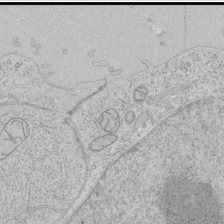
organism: Human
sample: Mitochondria in HCT116 cells